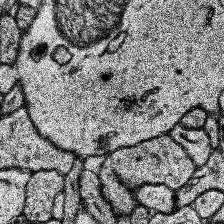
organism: Human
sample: Temporal Lobe